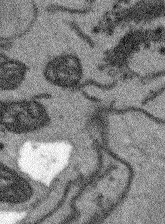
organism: Arabidopsis thaliana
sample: Root tip